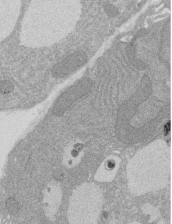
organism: Rat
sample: Salivary granule